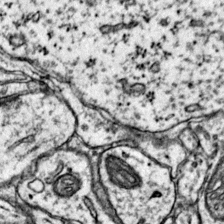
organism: Mouse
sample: Primary visual cortex